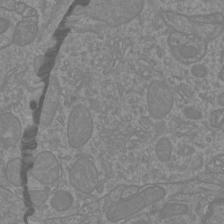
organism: Mouse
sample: Cortical neurons